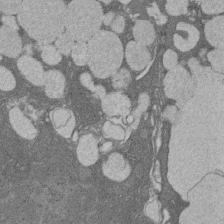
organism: Rat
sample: Salivary granule